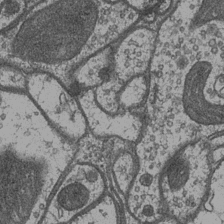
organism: Drosophila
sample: Optic medulla